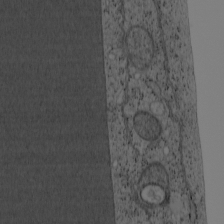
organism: African green monkey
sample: COS-7 cells